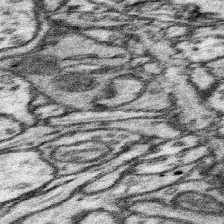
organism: Mouse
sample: Somatosensory cortex neuropil